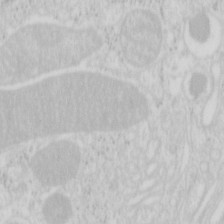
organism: Mouse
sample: Pancreas